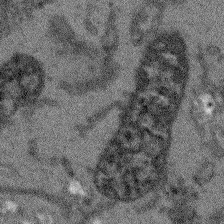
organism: Arabidopsis thaliana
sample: Root tip